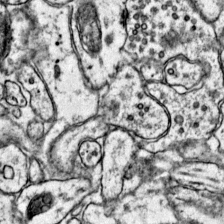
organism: Mouse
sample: Primary visual cortex